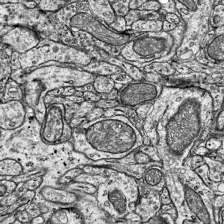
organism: Mouse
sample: Visual Cortex